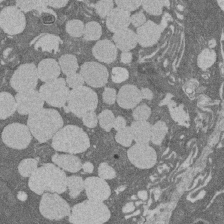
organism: Rat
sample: Salivary granule